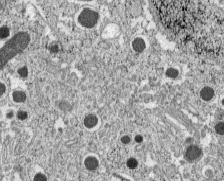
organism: C57BL Mouse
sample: Pancreatic islet